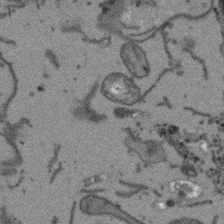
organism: Arabidopsis thaliana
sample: Root tip